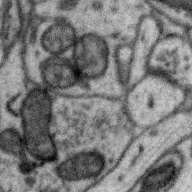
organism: Zebra finch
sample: Brain